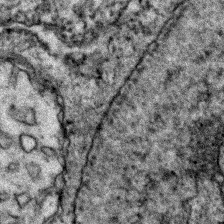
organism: Zebrafish